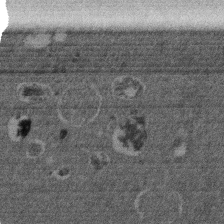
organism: Mouse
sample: Dividing mouse embryo 1 cell stage